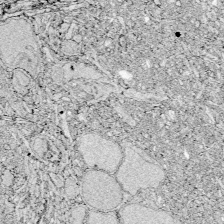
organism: Zebrafish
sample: Whole-Brain